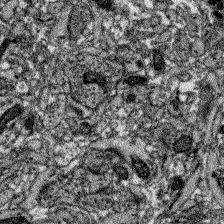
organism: Zebrafish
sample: Larval olfactory bulb